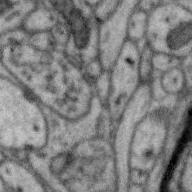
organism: Zebra finch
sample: Brain